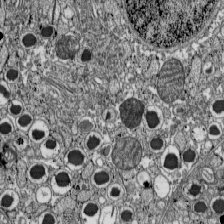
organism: C57BL Mouse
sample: Pancreatic islet